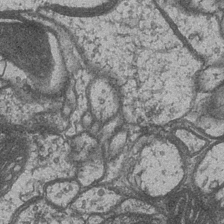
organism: Drosophila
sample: Optic medulla